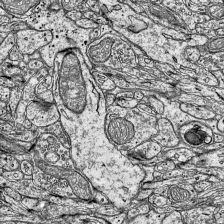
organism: Mouse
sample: Visual Cortex